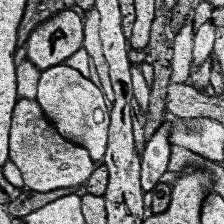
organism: Human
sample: Temporal Lobe